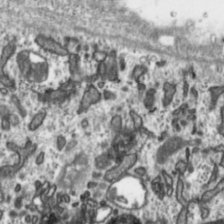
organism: Toxoplasma gondii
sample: Parasites in a vacuole inside a host cell